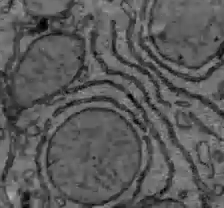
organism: C57BL Mouse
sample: Liver